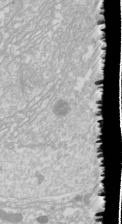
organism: Drosophila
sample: Cell division; meiosis; drosophila spermatocytes